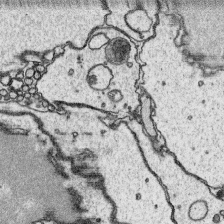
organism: Platynereis dumerilii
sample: Parapodia